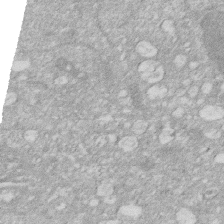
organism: Human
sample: HIV infected U937 cells